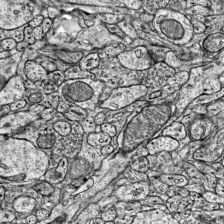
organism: Mouse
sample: Visual Cortex